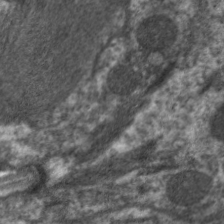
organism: C. elegans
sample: Pharynx